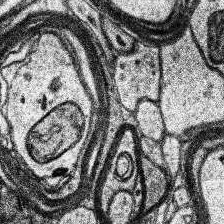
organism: Human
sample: Temporal Lobe